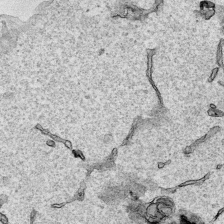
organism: Human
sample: Mitochondria in HCT116 cells